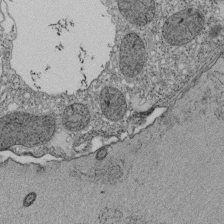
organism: Tetrahymena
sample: Cilia in tetrahymena